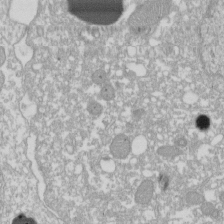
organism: Xenopus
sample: Cilia; centrioles in frog embryo cells